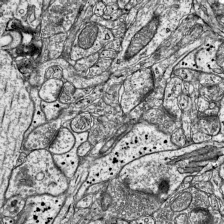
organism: Mouse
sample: Visual Cortex